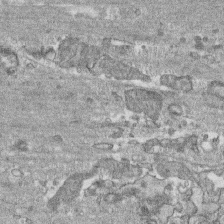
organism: Human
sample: CRL-1474